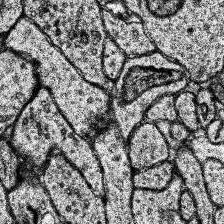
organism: Human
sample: Temporal Lobe